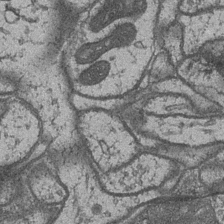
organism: Drosophila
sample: Optic medulla